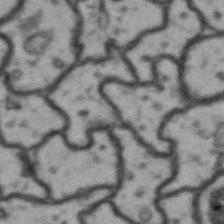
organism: Drosophila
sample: Brain